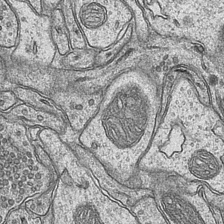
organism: Mouse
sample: CA1 Hippocampus